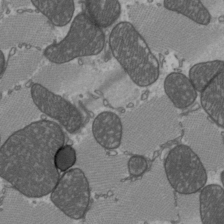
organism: C57BL Mouse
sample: Heart